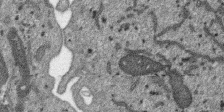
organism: Human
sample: Lung epithelial cells infected with SARS-CoV-2